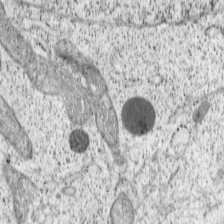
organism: African green monkey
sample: COS-7 cells